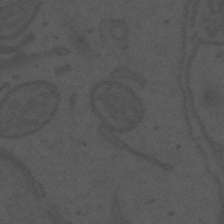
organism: Mouse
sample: Suprachiasmatic nucleus